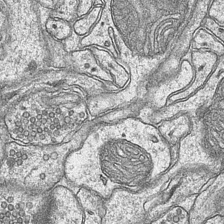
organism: Mouse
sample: CA1 Hippocampus